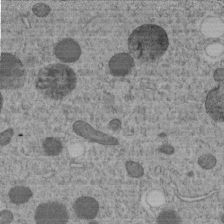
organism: C. elegans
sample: C. elegans embryo early stage